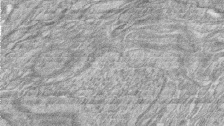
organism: Zebrafish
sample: synaptic ribbons in rod cells and cone cells